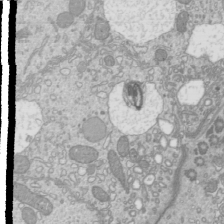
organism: Mouse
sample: Cilia; mouse epididymis